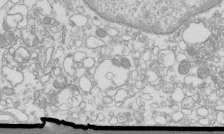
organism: Mouse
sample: Macrophages